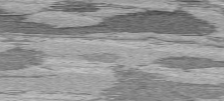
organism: C57BL Mouse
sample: Heart